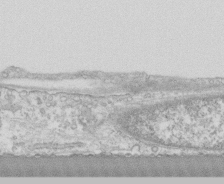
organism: Human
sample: CRL-1474